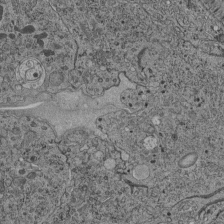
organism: C. elegans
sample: C. elegans pharynx